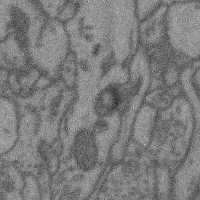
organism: Mouse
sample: Cerebral cortex